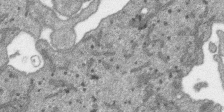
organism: Human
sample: Lung epithelial cells infected with SARS-CoV-2